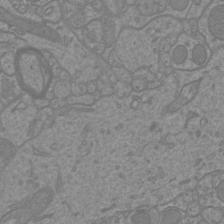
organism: Mouse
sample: Cortical neurons